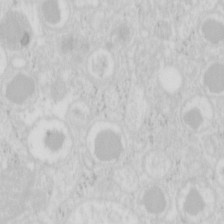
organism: Mouse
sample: Pancreas